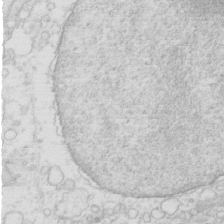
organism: Mouse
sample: Multiciliated cells